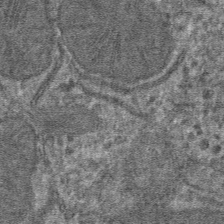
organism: Mouse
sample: Mouse hepatocytes